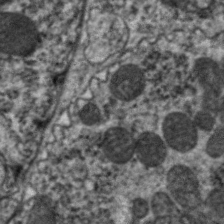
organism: C. elegans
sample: Pharynx